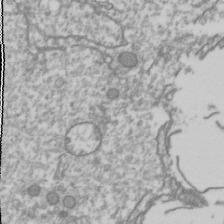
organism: Drosophila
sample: Cell division; meiosis; drosophila spermatocytes